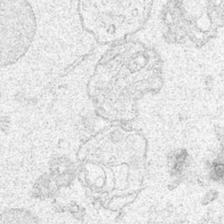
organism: Human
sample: Mitochondria in HCT116 cells